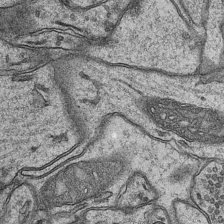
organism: Mouse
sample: CA1 Hippocampus